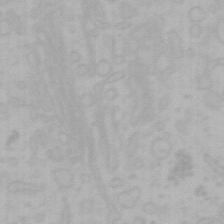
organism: Mouse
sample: Choroid plexus